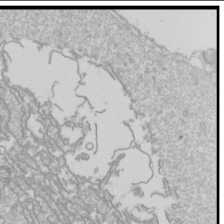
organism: Drosophila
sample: Cell division; meiosis; drosophila spermatocytes